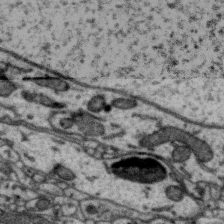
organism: Zebra finch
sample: Brain